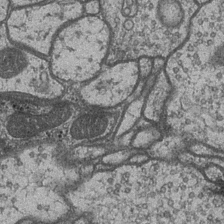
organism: Drosophila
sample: Optic medulla